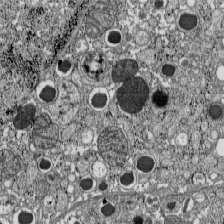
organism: C57BL Mouse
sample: Pancreatic islet